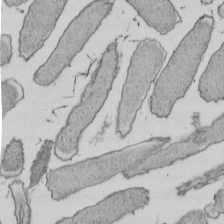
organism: E. coli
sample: Bacterial nucleoid